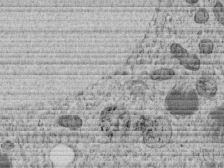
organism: C. elegans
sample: C. elegans embryo early stage